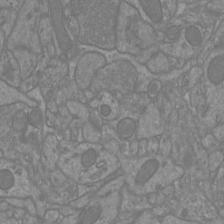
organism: Mouse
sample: Cortical neurons